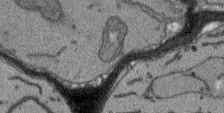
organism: Arabidopsis thaliana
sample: Root tip